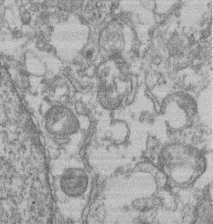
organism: Mouse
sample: T cell stromal cell synapse